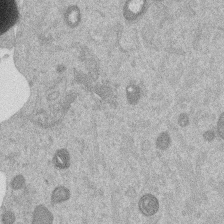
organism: Mouse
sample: Dividing mouse embryo 1 cell stage